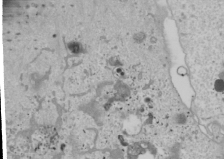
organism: Human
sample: Mitochondria in U2OS cells